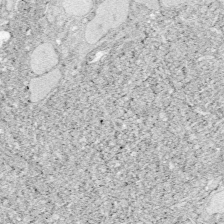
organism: Zebrafish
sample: Whole-Brain